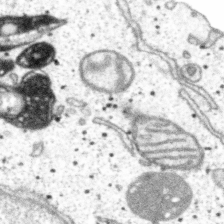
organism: Human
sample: HeLa cells